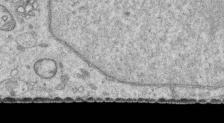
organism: Human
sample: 1205lu cells